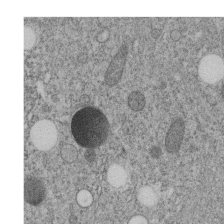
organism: C. elegans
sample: C. elegans embryo early stage